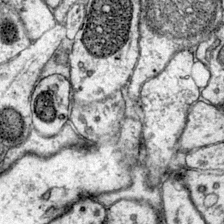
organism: Mouse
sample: Primary visual cortex